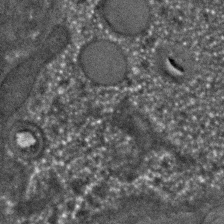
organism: C. elegans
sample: C. elegans embryo